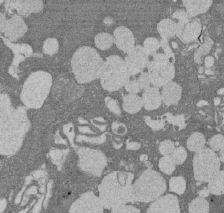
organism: Rat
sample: Salivary granule